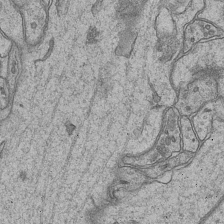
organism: Mouse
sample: CA1 Hippocampus